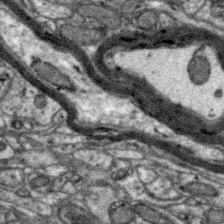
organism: Zebra finch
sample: Brain